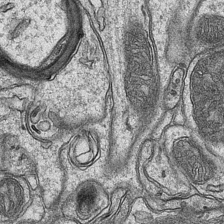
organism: Mouse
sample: CA1 Hippocampus